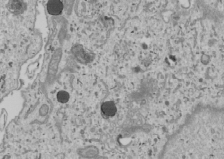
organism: Human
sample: Mitochondria in U2OS cells